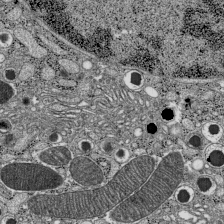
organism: C57BL Mouse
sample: Pancreatic islet